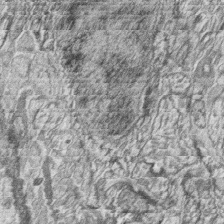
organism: Zebrafish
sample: synaptic ribbons in rod cells and cone cells